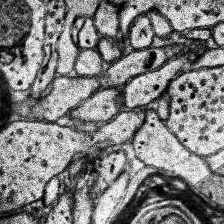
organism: Human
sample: Temporal Lobe